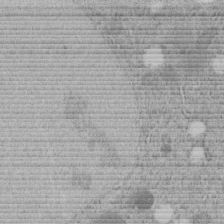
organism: C. elegans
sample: C. elegans embryo early stage